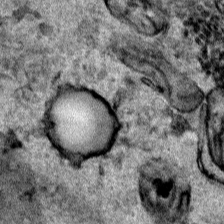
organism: Human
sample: Mitochondria in HCT116 cells